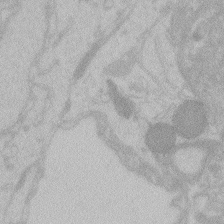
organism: Zebrafish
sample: Macrophage infected with Toxoplasma gondii